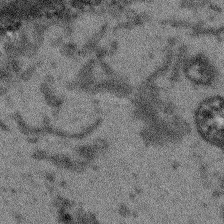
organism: Arabidopsis thaliana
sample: Root tip